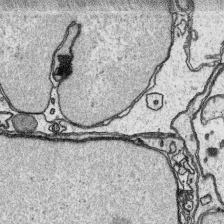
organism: Platynereis dumerilii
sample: Parapodia